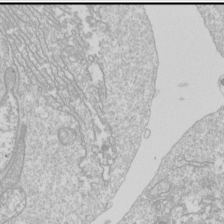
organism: Drosophila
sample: Cell division; meiosis; drosophila spermatocytes